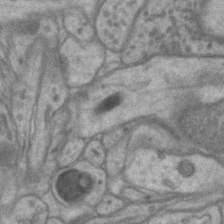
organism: Mouse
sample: CA1 Hippocampus